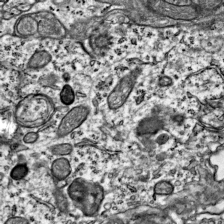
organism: Mouse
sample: Visual Cortex